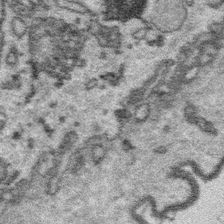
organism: Platynereis dumerilii